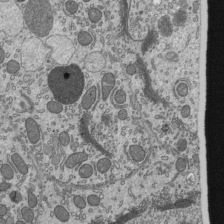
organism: Mouse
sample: Mouse epididymis efferent ductule cilia